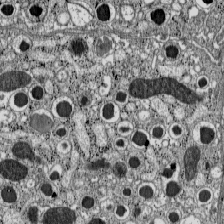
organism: C57BL Mouse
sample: Pancreatic islet